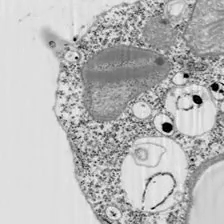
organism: Chlamydomonas reinhardtii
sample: Whole Cell